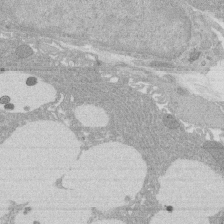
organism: Rat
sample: Salivary granule